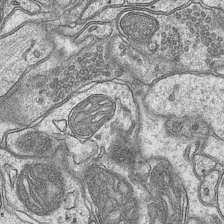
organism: Mouse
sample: CA1 Hippocampus